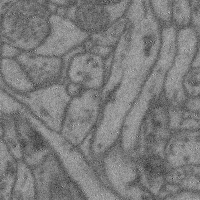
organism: Mouse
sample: Cerebral cortex